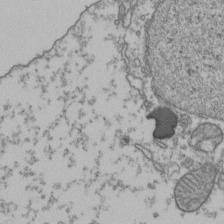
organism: Human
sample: Activated Jurkat CD4+ T cells